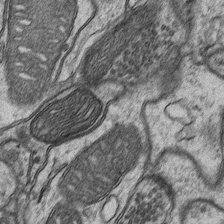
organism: Mouse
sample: CA1 Hippocampus